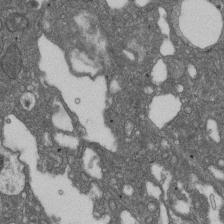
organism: Drosophila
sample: Nephrocyte